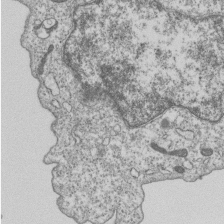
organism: Human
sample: MDA-MB-231 cells